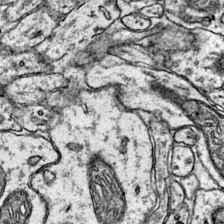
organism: Mouse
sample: Primary visual cortex